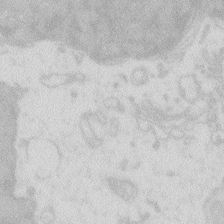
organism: Zebrafish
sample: Macrophage